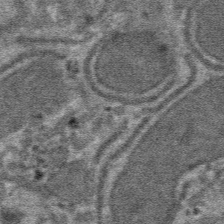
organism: Mouse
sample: Mouse hepatocytes